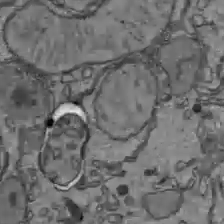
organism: C57BL Mouse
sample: Liver